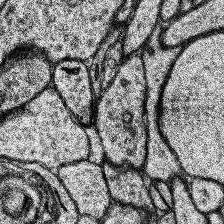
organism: Human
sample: Temporal Lobe